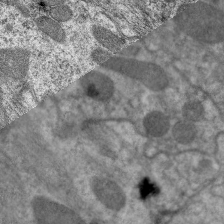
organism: C. elegans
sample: Pharynx